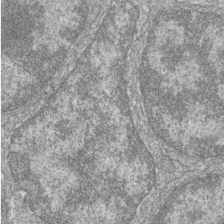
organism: Zebrafish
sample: Cilia; retinal pigment epithelium